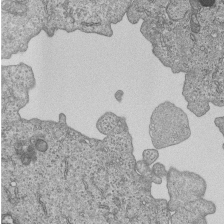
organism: Human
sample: MDA-MB-231 cells